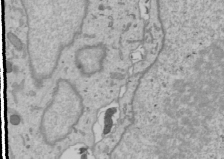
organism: Human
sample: Mitochondria in U2OS cells